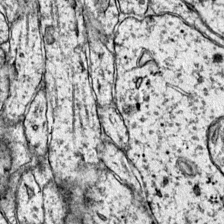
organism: Mouse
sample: Primary visual cortex